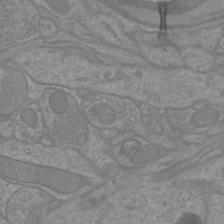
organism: Mouse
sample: Cortical neurons